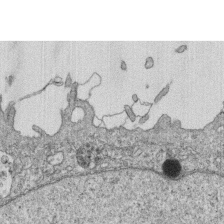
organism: Human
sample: HeLa cell HIV synapse